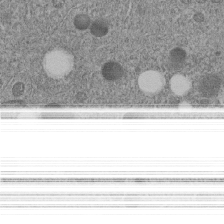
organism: C. elegans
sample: C. elegans embryo early stage